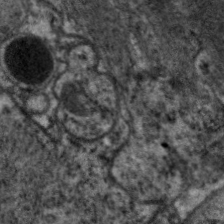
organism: C. elegans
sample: Pharynx